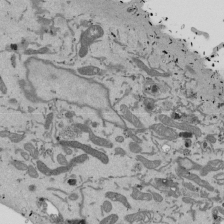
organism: Mouse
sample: ED-1 cell nuclei; centrioles